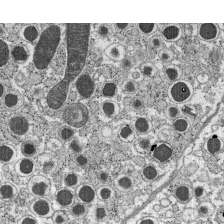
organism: C57BL Mouse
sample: Pancreatic islet